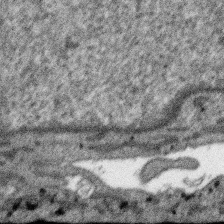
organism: Human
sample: Lung epithelial cells infected with SARS-CoV-2